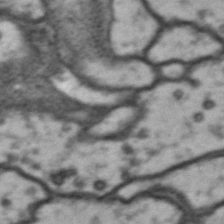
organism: Drosophila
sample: Brain